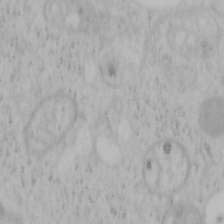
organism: Mouse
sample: OT-I killer T cells with ID8 ovarian cancer cells